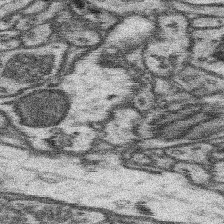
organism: Mouse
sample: Somatosensory cortex neuropil